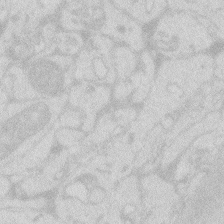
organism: Zebrafish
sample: Macrophage